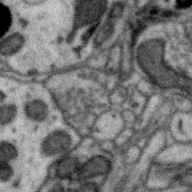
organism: Zebra finch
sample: Brain